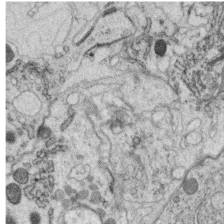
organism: C. elegans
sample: C. elegans oocyte; sperm cells